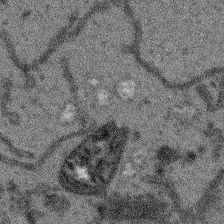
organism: Arabidopsis thaliana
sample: Root tip